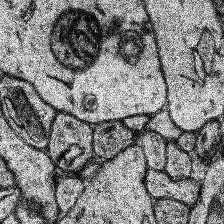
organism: Human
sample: Temporal Lobe